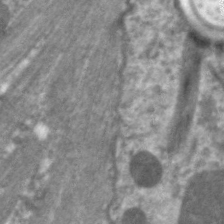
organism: C. elegans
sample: Pharynx